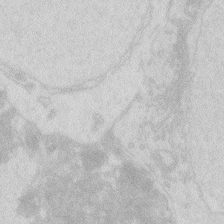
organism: Zebrafish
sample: Macrophage